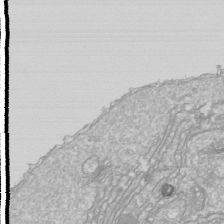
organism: Drosophila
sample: Cell division; meiosis; drosophila spermatocytes